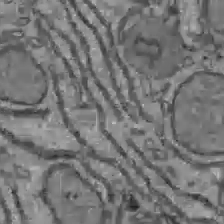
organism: C57BL Mouse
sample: Liver